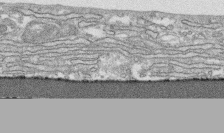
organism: Human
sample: CRL-1474